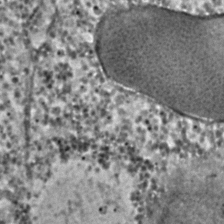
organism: C. elegans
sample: C. elegans embryo